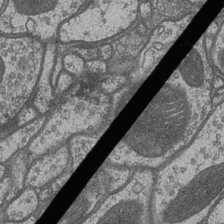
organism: Drosophila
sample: Optic medulla